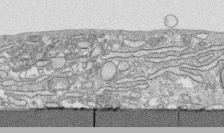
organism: Human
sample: CRL-1474